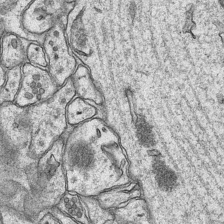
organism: Mouse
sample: CA1 Hippocampus